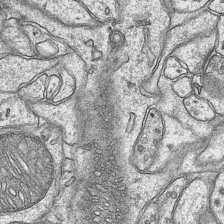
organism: Mouse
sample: CA1 Hippocampus